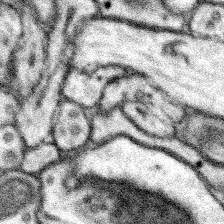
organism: Mouse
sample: Somatosensory cortex neuropil